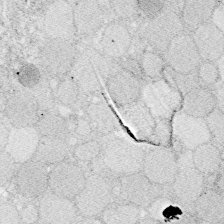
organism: Zebrafish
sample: Whole-Brain